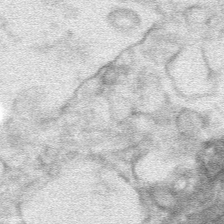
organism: Mouse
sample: Mouse hepatocytes